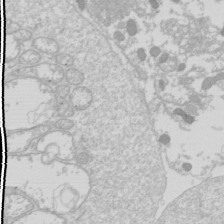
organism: Drosophila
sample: Cell division; meiosis; drosophila spermatocytes